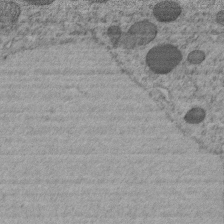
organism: C. elegans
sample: C. elegans embryo early stage